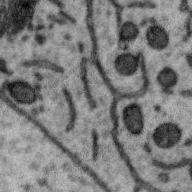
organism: Zebra finch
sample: Brain